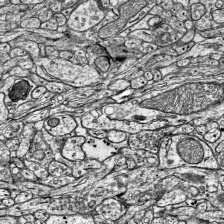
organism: Mouse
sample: Visual Cortex